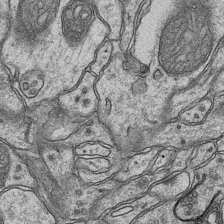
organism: Mouse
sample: CA1 Hippocampus